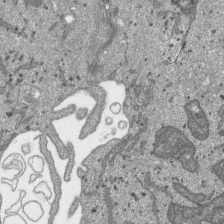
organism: Human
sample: Lung epithelial cells infected with SARS-CoV-2